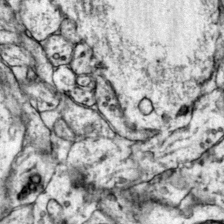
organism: Mouse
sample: Primary visual cortex